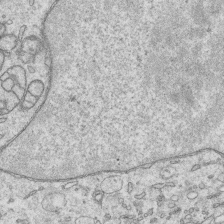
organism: Human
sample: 1205lu cells